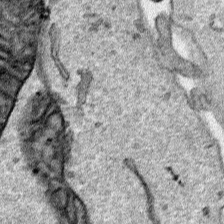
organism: Human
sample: Mitochondria in HCT116 cells